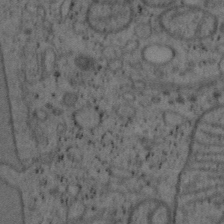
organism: Human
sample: HeLa cells